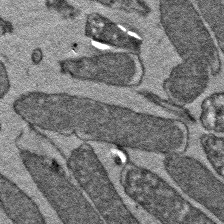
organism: E. coli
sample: E. Coli Bacteria